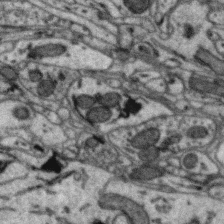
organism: Zebra finch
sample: Brain